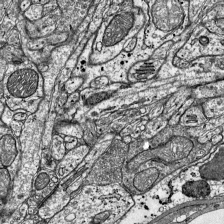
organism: Mouse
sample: Visual Cortex